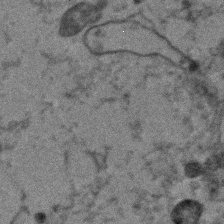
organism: Human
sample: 1205lu cells